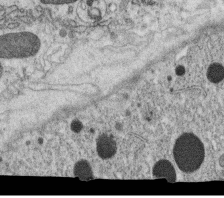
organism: C. elegans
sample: C. elegans oocyte; sperm cells